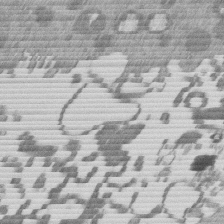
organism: Mouse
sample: Dividing mouse embryo 1 cell stage